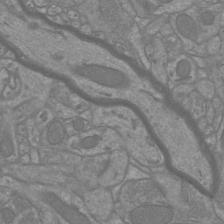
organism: Mouse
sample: Cortical neurons